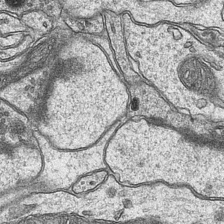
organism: Mouse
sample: CA1 Hippocampus